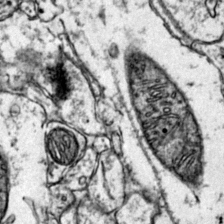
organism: Mouse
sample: Primary visual cortex